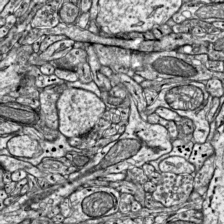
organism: Mouse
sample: Visual Cortex